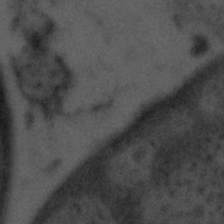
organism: Tuwongella immobilis